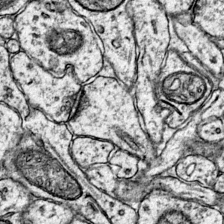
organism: Mouse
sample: Primary visual cortex